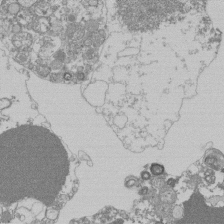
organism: Mouse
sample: Activated Pmel transgenic CD8+ T Cells